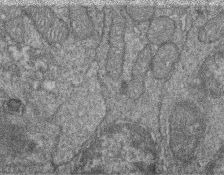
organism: Zebrafish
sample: Cilia; retinal pigment epithelium